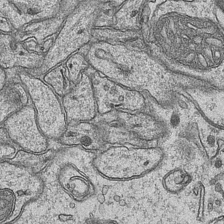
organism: Mouse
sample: CA1 Hippocampus